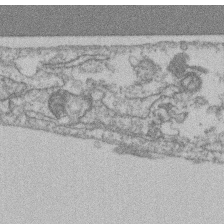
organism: Mouse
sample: T cell stromal cell synapse